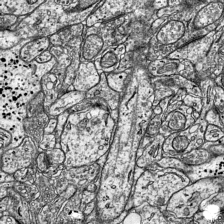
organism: Mouse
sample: Visual Cortex